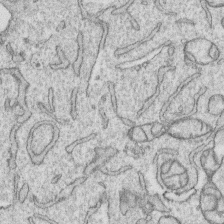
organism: Human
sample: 1205lu cells